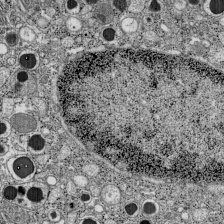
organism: C57BL Mouse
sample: Pancreatic islet